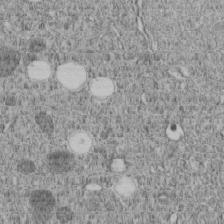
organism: C. elegans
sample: C. elegans embryo early stage